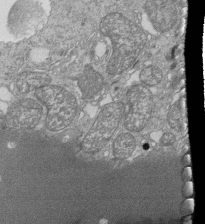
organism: Tetrahymena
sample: Cilia in tetrahymena